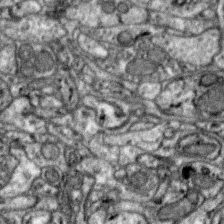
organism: Zebra finch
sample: Brain